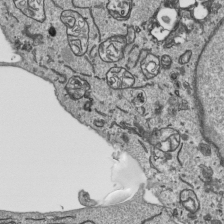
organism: Human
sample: Mitochondria in HCT116 cells